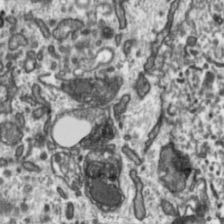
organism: Toxoplasma gondii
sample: Parasites in a vacuole inside a host cell